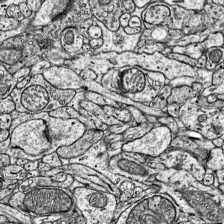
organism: Mouse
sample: Visual Cortex